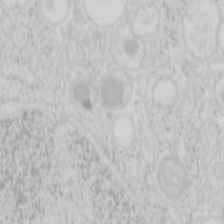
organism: Mouse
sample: Pancreas